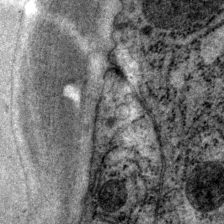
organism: P. pacificus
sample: Pharynx